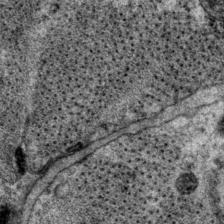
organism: P. pacificus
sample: Pharynx